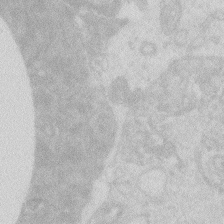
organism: Zebrafish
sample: Macrophage